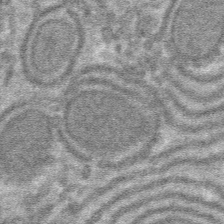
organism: Mouse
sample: Mouse hepatocytes